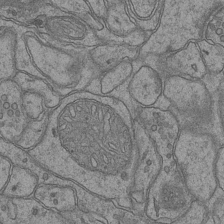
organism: Mouse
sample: CA1 Hippocampus